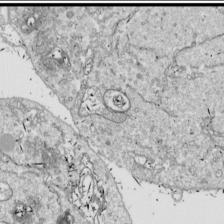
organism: Drosophila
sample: Cell division; meiosis; drosophila spermatocytes